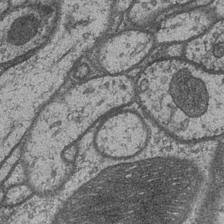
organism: Drosophila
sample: Optic medulla